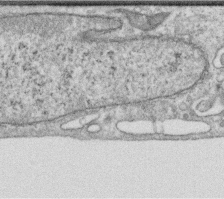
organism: Human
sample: Centriole in RPE cells